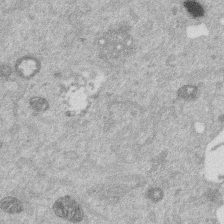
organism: Mouse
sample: Dividing mouse embryo 1 cell stage